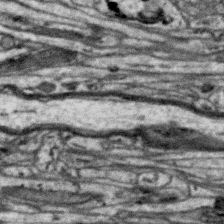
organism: Zebra finch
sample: Brain